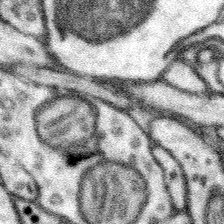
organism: Mouse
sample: Somatosensory cortex neuropil